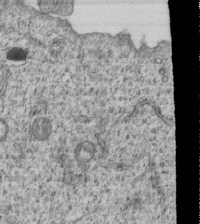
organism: Human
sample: MDA-MB-231 cells